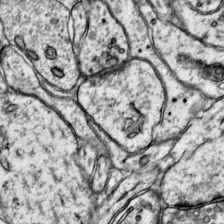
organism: Mouse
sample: Primary visual cortex